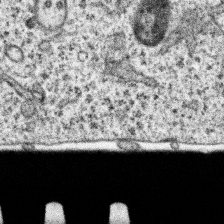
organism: Human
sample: HeLa cells